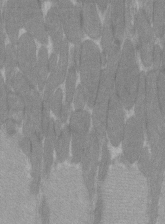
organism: C57BL Mouse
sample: Tibialis anterior muscle cell